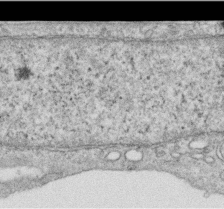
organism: Human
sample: Centriole in RPE cells